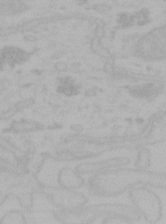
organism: Mouse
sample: Choroid plexus